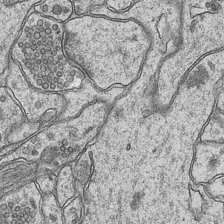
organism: Mouse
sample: CA1 Hippocampus